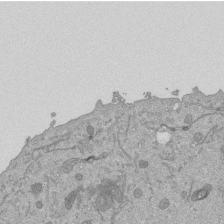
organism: Mouse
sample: ED-1 cell nuclei; centrioles